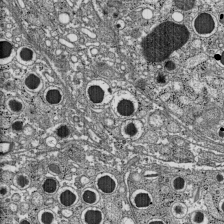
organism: C57BL Mouse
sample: Pancreatic islet